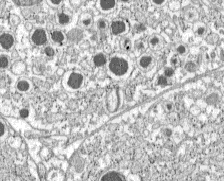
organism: C57BL Mouse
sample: Pancreatic islet